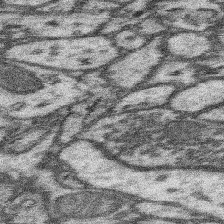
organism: Mouse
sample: Somatosensory cortex neuropil